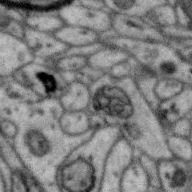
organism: Zebra finch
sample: Brain